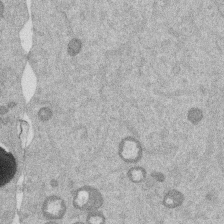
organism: Mouse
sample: Dividing mouse embryo 1 cell stage